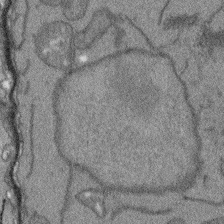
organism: Arabidopsis thaliana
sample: Root tip